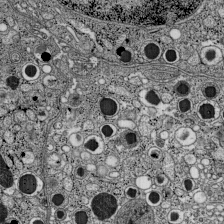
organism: C57BL Mouse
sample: Pancreatic islet